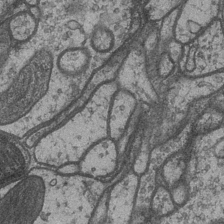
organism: Drosophila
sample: Optic medulla